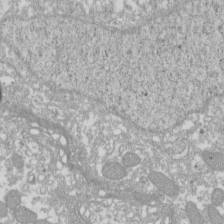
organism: Xenopus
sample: Cilia; centrioles in frog embryo cells